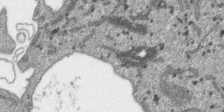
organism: Human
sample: Lung epithelial cells infected with SARS-CoV-2